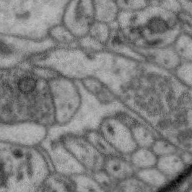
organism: Zebra finch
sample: Brain